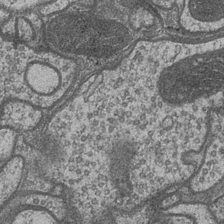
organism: Drosophila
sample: Optic medulla